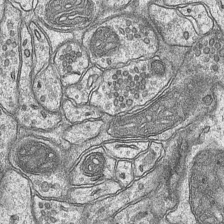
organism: Mouse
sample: CA1 Hippocampus